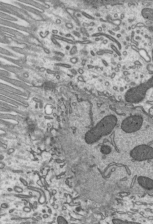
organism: Mouse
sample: Mouse epididymis efferent ductule cilia